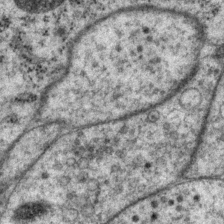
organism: P. pacificus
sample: Pharynx